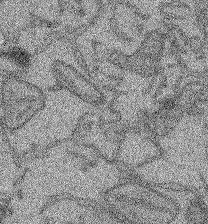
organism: Human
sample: HeLa cells